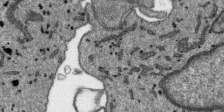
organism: Human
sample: Lung epithelial cells, uninfected (mock) control